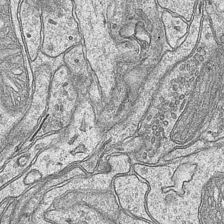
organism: Mouse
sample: CA1 Hippocampus